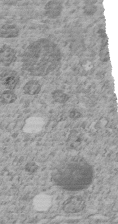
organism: C. elegans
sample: C. elegans embryo early stage